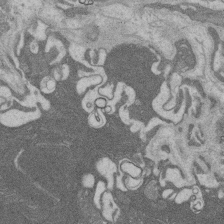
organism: Rat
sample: Salivary granule